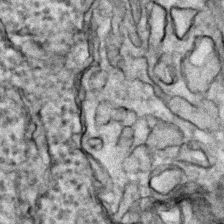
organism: Zebrafish